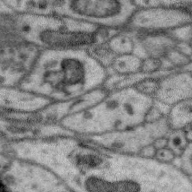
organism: Zebra finch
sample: Brain